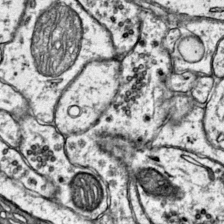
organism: Mouse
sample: Primary visual cortex